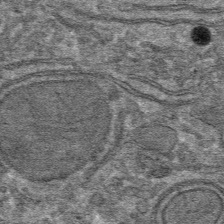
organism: Mouse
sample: Mouse hepatocytes